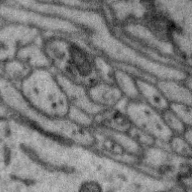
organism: Zebra finch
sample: Brain